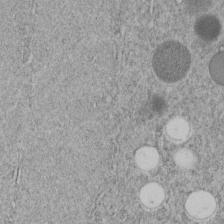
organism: C. elegans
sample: C. elegans embryo early stage